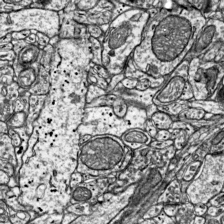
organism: Mouse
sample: Visual Cortex